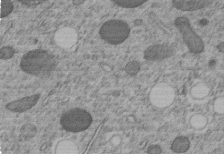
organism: C. elegans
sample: C. elegans embryo early stage